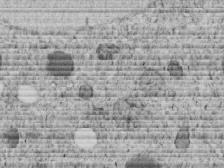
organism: C. elegans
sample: C. elegans embryo early stage